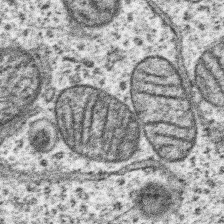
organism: Human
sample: HeLa cells